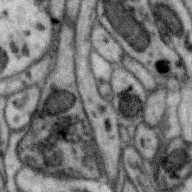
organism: Zebra finch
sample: Brain